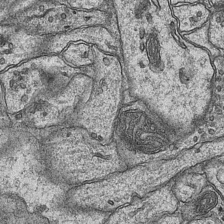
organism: Mouse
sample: CA1 Hippocampus